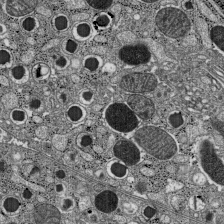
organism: C57BL Mouse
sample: Pancreatic islet